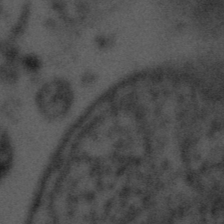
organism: Tuwongella immobilis